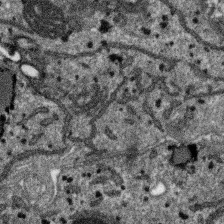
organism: Human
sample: Lung epithelial cells infected with SARS-CoV-2